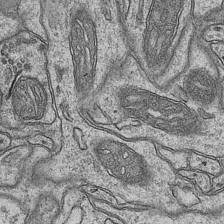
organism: Mouse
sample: CA1 Hippocampus